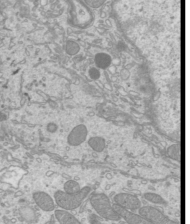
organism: Mouse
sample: Cilia; mouse epididymis